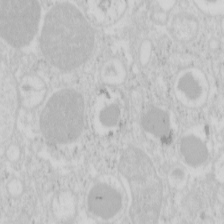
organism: Mouse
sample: Pancreas